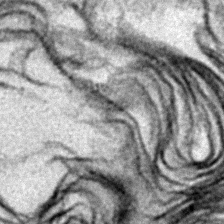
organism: Zebrafish